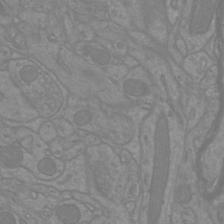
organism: Mouse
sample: Cortical neurons